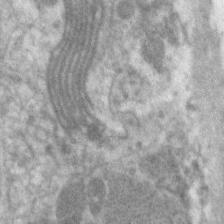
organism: C. elegans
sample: Pharynx